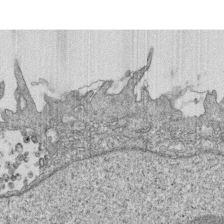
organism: Human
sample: HeLa cell HIV synapse